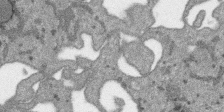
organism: Human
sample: Lung epithelial cells infected with SARS-CoV-2